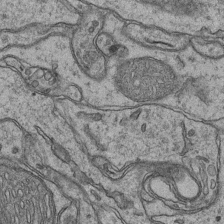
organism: Mouse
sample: CA1 Hippocampus